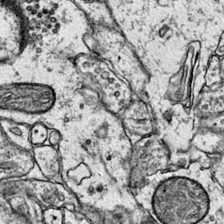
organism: Mouse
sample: Primary visual cortex